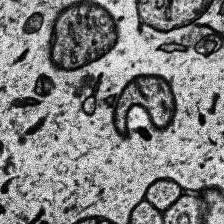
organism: Human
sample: Temporal Lobe